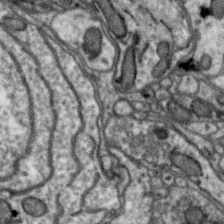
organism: Zebra finch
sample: Brain